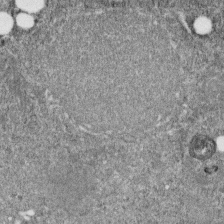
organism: C. elegans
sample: C. elegans embryo early stage